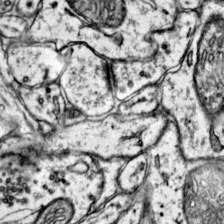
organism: Mouse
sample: Primary visual cortex